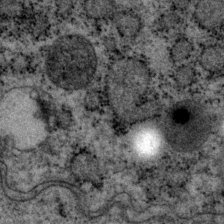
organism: P. pacificus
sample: Pharynx